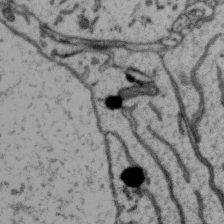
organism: Zebra finch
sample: Brain